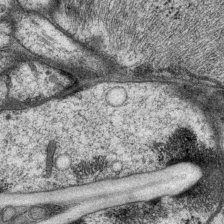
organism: P. pacificus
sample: Pharynx